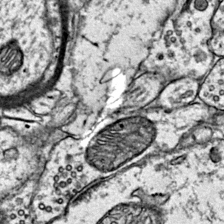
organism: Mouse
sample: Primary visual cortex